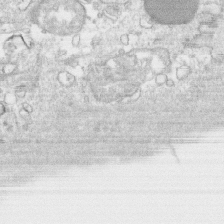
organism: Human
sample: CRL-1474